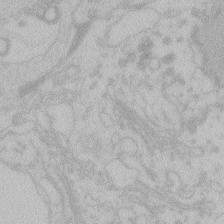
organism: Zebrafish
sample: Macrophage infected with Toxoplasma gondii